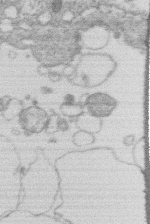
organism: Human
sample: Macrophage cells